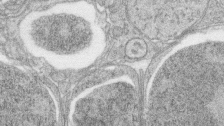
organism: Zebrafish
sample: synaptic ribbons in rod cells and cone cells